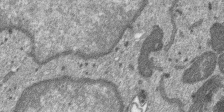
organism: Human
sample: Lung epithelial cells infected with SARS-CoV-2